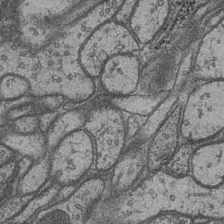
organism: Drosophila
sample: Optic medulla